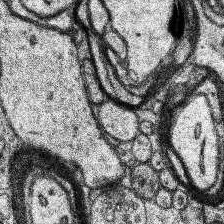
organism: Human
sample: Temporal Lobe